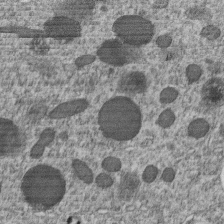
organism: C. elegans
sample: C. elegans embryo early stage